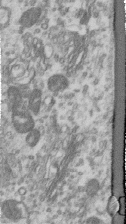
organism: Human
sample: Centriole in RPE cells